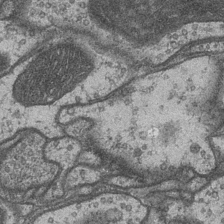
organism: Drosophila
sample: Optic medulla